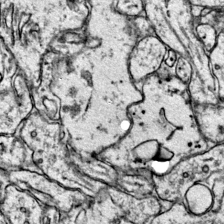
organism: Mouse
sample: Primary visual cortex